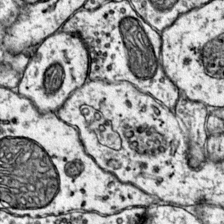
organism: Mouse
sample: Primary visual cortex